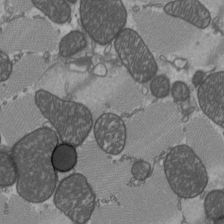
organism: C57BL Mouse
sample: Heart